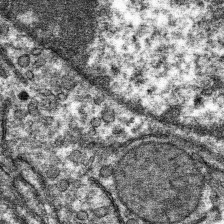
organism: Mouse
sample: Mouse hepatocytes